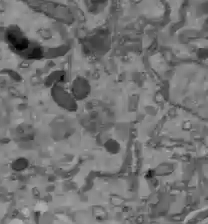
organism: C57BL Mouse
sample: Liver